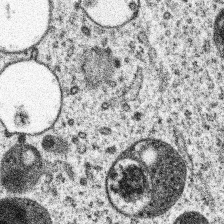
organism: Human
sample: HeLa cells